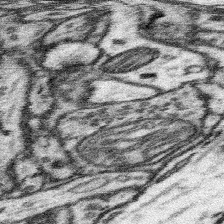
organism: Mouse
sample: Somatosensory cortex neuropil